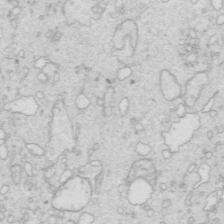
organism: Mouse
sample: Multiciliated cells